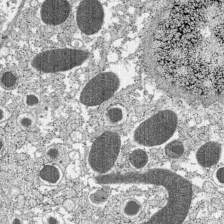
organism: C57BL Mouse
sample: Pancreatic islet